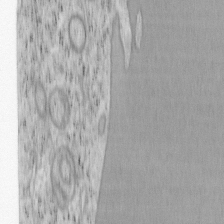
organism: Human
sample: HeLa cells